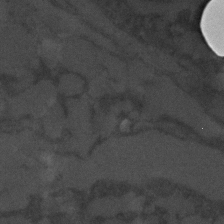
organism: C. elegans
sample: C. elegans embryo